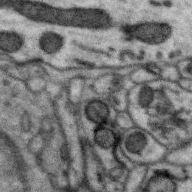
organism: Zebra finch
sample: Brain